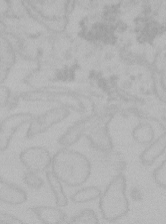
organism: Mouse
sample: Choroid plexus